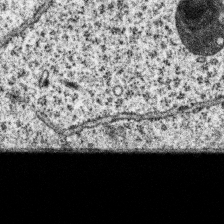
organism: Human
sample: HeLa cells